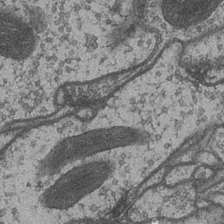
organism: Drosophila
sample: Optic medulla